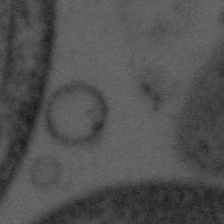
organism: Tuwongella immobilis